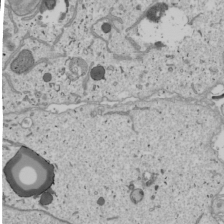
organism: Human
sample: Mitochondria in U2OS cells